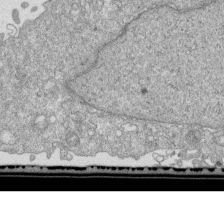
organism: Human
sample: HeLa cell HIV synapse